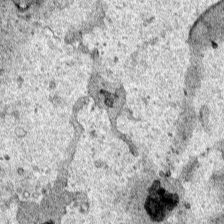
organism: Human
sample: Mitochondria in HCT116 cells